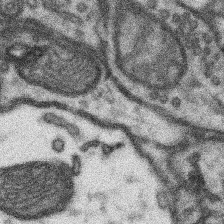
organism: Mouse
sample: Somatosensory cortex neuropil